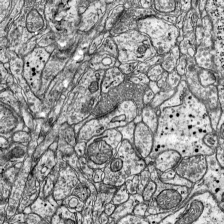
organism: Mouse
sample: Visual Cortex